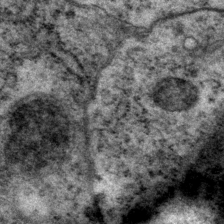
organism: P. pacificus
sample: Pharynx